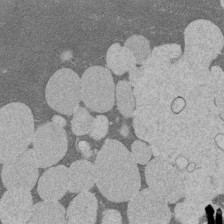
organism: Rat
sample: Salivary granule